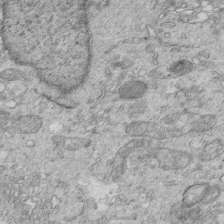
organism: Mouse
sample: Multiciliated cells